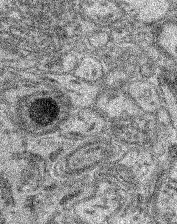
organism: Mouse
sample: Retina